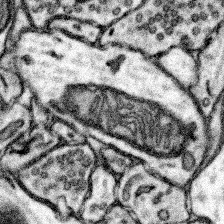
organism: Mouse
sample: Somatosensory cortex neuropil